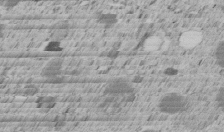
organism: C. elegans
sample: C. elegans embryo early stage